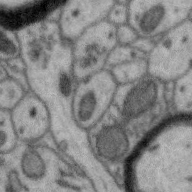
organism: Zebra finch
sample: Brain